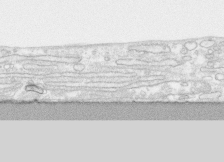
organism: Human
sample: CRL-1474